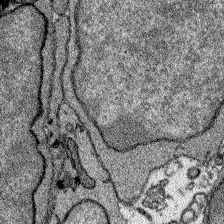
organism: Zebrafish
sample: Larval olfactory bulb